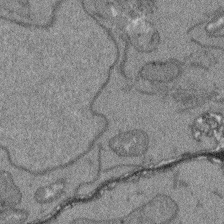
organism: Arabidopsis thaliana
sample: Root tip